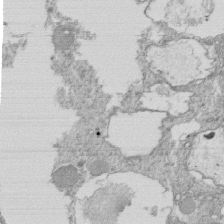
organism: Tetrahymena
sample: Cilia in tetrahymena